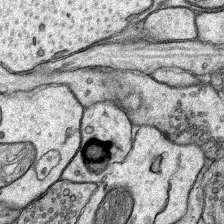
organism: Rat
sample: Hippocampus